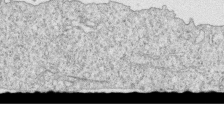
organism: Human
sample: HeLa cell HIV synapse